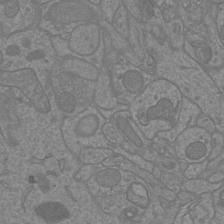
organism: Mouse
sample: Cortical neurons